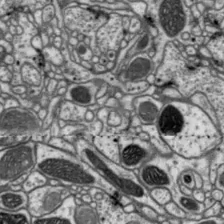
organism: Drosophila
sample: Protocerebral bridge